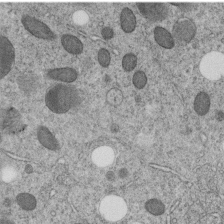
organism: C. elegans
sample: C. elegans embryo early stage